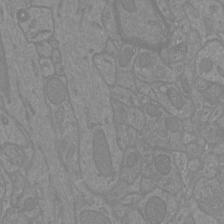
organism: Mouse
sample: Cortical neurons